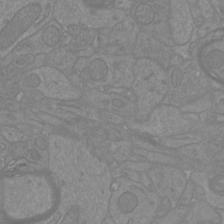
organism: Mouse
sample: Cortical neurons